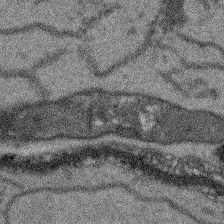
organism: Arabidopsis thaliana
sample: Root tip